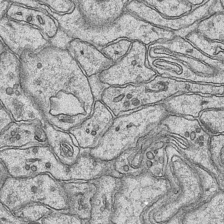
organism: Mouse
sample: CA1 Hippocampus